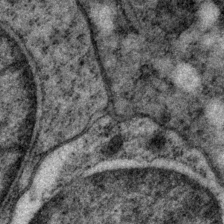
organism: P. pacificus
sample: Pharynx